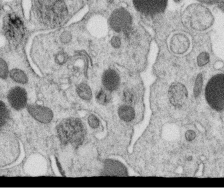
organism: C. elegans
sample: C. elegans oocyte; sperm cells